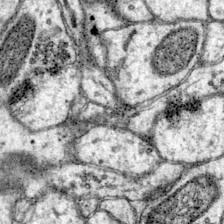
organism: Mouse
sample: Primary visual cortex